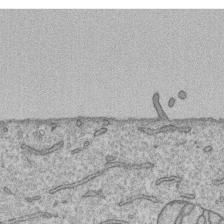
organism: Human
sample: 1205lu cells